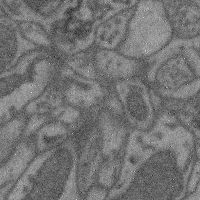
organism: Mouse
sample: Cerebral cortex